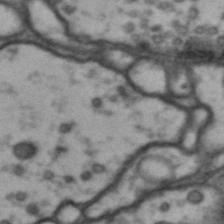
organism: Drosophila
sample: Brain